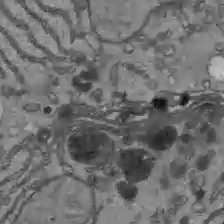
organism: C57BL Mouse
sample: Liver